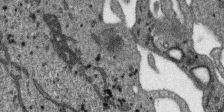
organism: Human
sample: Lung epithelial cells infected with SARS-CoV-2